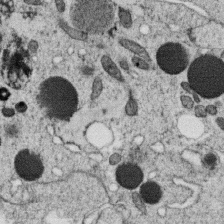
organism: C. elegans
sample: C. elegans oocyte; sperm cells